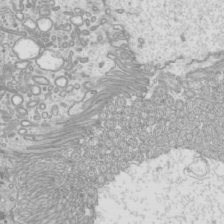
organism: Mouse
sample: Cilia; mouse epididymis